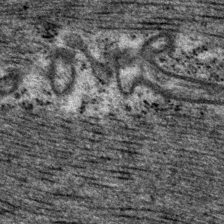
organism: P. pacificus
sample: Pharynx